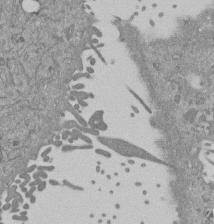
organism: Mouse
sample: ED-1 cell nuclei; centrioles